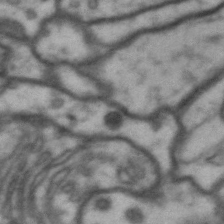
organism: Drosophila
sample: Brain